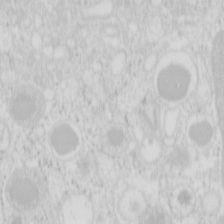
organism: Mouse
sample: Pancreas